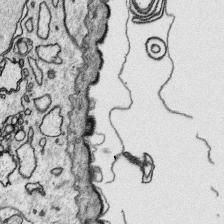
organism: Platynereis dumerilii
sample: Parapodia